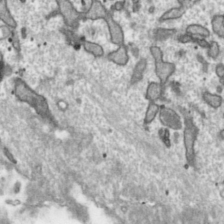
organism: Toxoplasma gondii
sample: Parasites in a vacuole inside a host cell